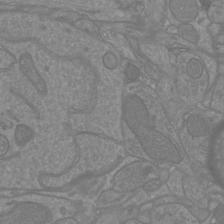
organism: Mouse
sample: Cortical neurons